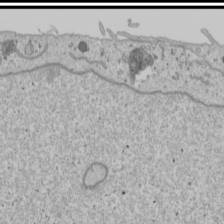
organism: Human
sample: Mitochondria in U2OS cells